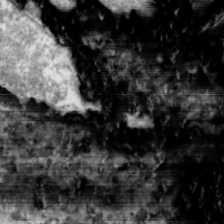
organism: Toxoplasma gondii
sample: Parasites in a vacuole inside a host cell